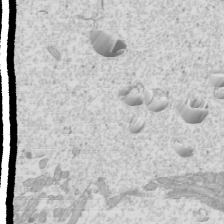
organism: Mouse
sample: Cilia; mouse epididymis